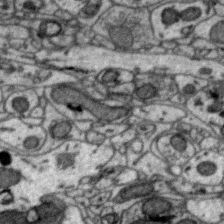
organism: Zebra finch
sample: Brain